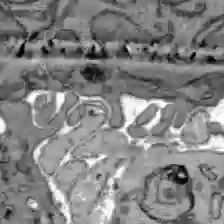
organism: C57BL Mouse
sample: Liver